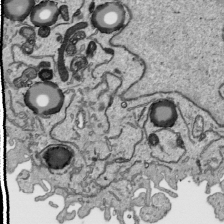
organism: Human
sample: Mitochondria in HCT116 cells